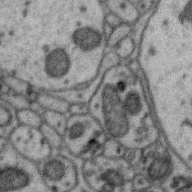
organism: Zebra finch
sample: Brain